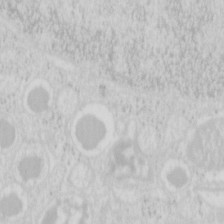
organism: Mouse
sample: Pancreas